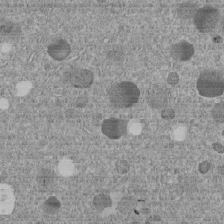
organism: C. elegans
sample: C. elegans embryo early stage